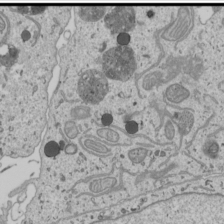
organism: Human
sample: Mitochondria in U2OS cells